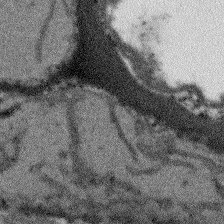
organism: Arabidopsis thaliana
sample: Root tip